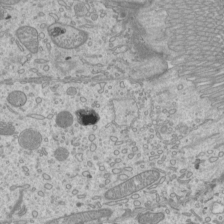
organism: Mouse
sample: Cilia; mouse epididymis